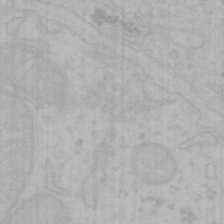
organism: Mouse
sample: Choroid plexus